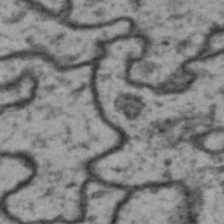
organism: Drosophila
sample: Brain